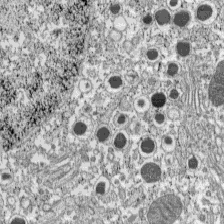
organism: C57BL Mouse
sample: Pancreatic islet